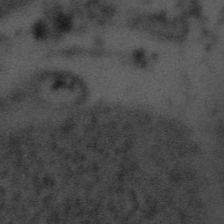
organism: Tuwongella immobilis